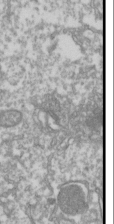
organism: Drosophila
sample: Cell division; meiosis; drosophila spermatocytes